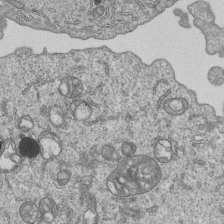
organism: Human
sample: MDA-MB-231 cells